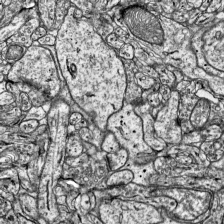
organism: Mouse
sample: Visual Cortex